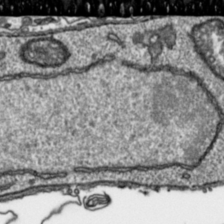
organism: Toxoplasma gondii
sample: Parasites in a vacuole inside a host cell